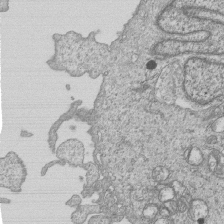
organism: Human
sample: MDA-MB-231 cells